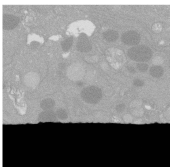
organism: C. elegans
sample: C. elegans oocyte; sperm cells